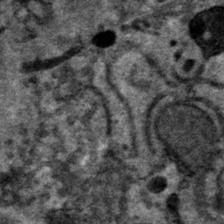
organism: Mouse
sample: Mouse hepatocytes